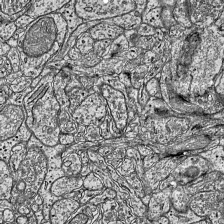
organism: Mouse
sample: Visual Cortex